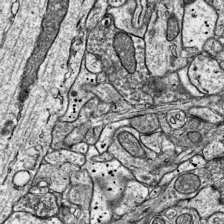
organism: Mouse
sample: Visual Cortex